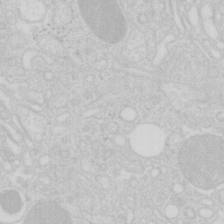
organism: Mouse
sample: Pancreas